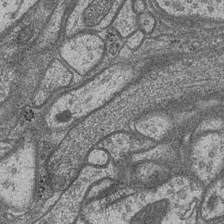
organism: Drosophila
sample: Optic medulla